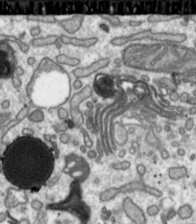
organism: Toxoplasma gondii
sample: Parasites in a vacuole inside a host cell